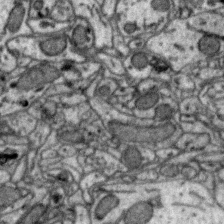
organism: Zebra finch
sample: Brain